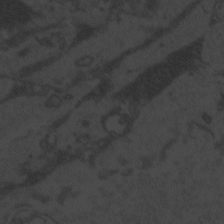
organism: Zebrafish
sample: Macrophage infected with Toxoplasma gondii